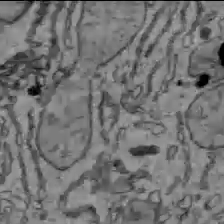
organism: C57BL Mouse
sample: Liver